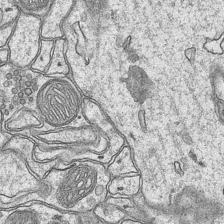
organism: Mouse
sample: CA1 Hippocampus